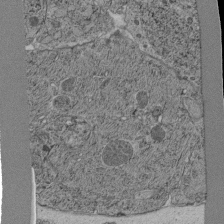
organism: C. elegans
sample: C. elegans pharynx